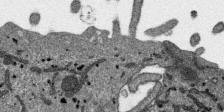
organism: Human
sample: Lung epithelial cells, uninfected (mock) control